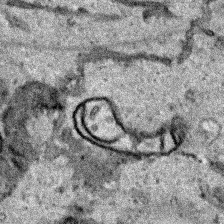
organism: Human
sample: Mitochondria in HCT116 cells